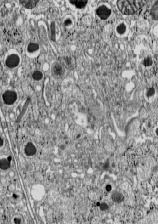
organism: C57BL Mouse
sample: Pancreatic islet